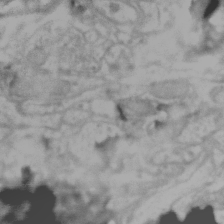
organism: Zebra finch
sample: Brain